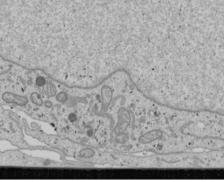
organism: Human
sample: Mitochondria in U2OS cells